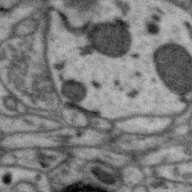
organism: Zebra finch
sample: Brain